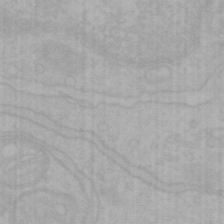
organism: Mouse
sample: Choroid plexus